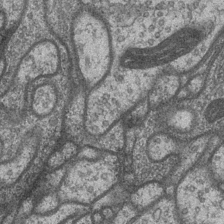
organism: Drosophila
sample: Optic medulla